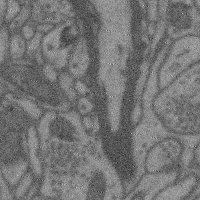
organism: Mouse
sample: Cerebral cortex